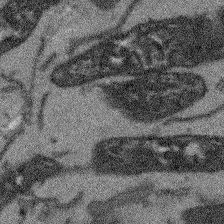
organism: Arabidopsis thaliana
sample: Root tip